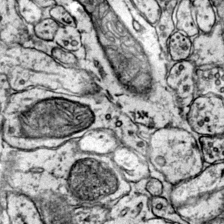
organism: Mouse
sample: Primary visual cortex